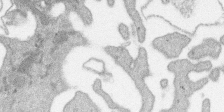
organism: Human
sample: Lung epithelial cells infected with SARS-CoV-2